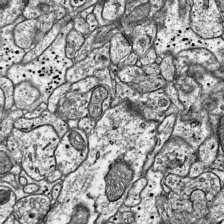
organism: Mouse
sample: Visual Cortex